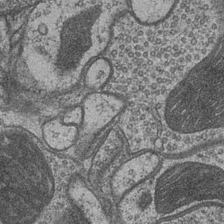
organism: Drosophila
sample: Optic medulla